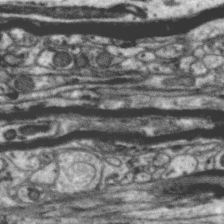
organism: Zebra finch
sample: Brain